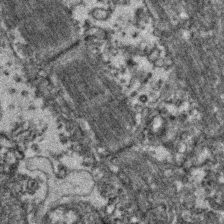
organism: Zebrafish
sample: Zebrafish embryo